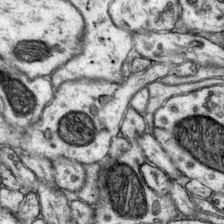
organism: Mouse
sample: Primary visual cortex